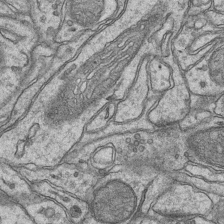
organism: Mouse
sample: CA1 Hippocampus